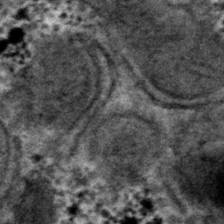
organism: Mouse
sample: Mouse hepatocytes